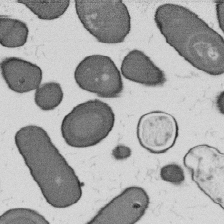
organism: B. subtilis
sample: Bacterial spore